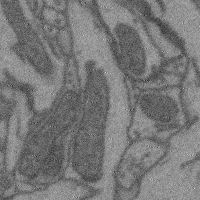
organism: Mouse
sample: Cerebral cortex